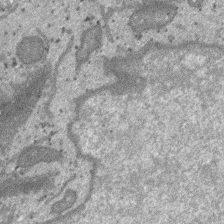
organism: Human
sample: Lung epithelial cells infected with SARS-CoV-2